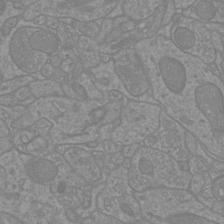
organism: Mouse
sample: Cortical neurons